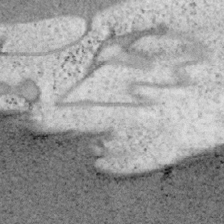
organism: Mouse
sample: OT-I killer T cells with ID8 ovarian cancer cells